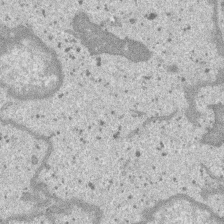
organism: Human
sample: Lung epithelial cells infected with SARS-CoV-2